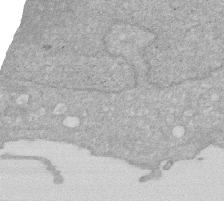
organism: Human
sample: HIV infected U937 cells